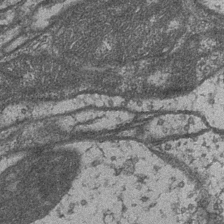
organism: Drosophila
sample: Optic medulla